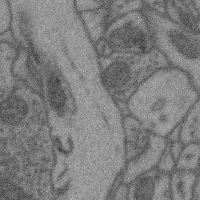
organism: Mouse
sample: Cerebral cortex